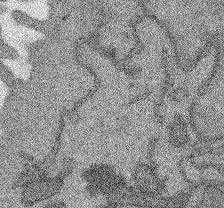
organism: Human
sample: HeLa cells